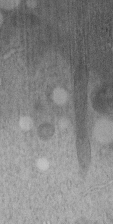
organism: C. elegans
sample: C. elegans embryo early stage